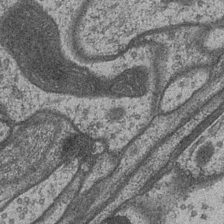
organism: Drosophila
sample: Optic medulla